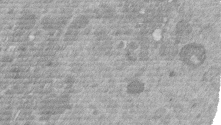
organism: Mouse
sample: Dividing mouse embryo 1 cell stage